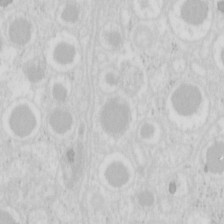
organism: Mouse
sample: Pancreas